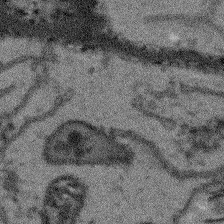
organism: Arabidopsis thaliana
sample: Root tip